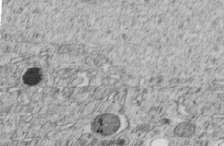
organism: C. elegans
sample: C. elegans embryo early stage